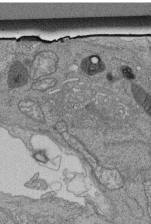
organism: Human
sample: Retinal organoid Rod and Cone cells